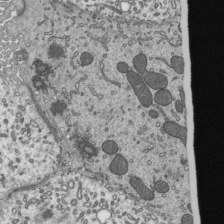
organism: Mouse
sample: Mouse epididymis efferent ductule cilia